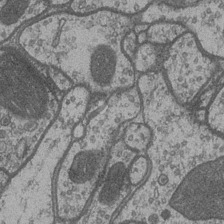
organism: Drosophila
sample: Optic medulla